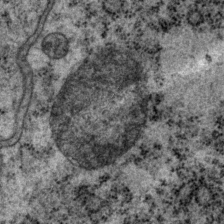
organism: P. pacificus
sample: Pharynx